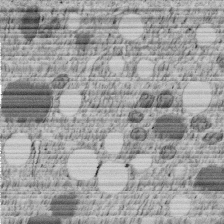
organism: C. elegans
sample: C. elegans embryo early stage